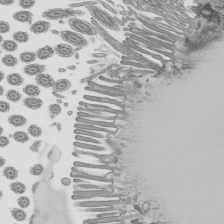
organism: Mouse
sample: Mouse epididymis efferent ductule cilia